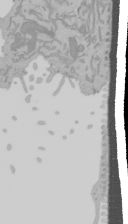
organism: Mouse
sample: Cancer cell death in ED-1 cells